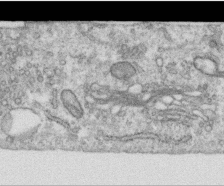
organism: Human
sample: Centriole in RPE cells